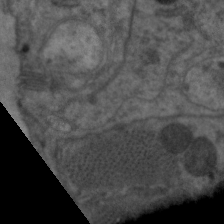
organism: C. elegans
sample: Pharynx